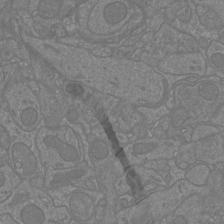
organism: Mouse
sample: Cortical neurons